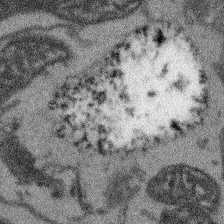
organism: Arabidopsis thaliana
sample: Root tip